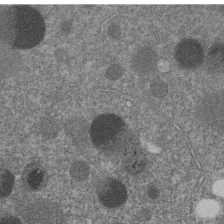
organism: C. elegans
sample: C. elegans embryo early stage